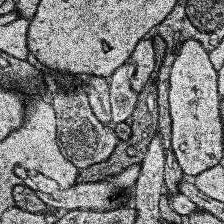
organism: Human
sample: Temporal Lobe